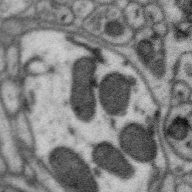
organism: Zebra finch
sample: Brain